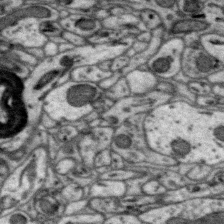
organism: Zebra finch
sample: Brain